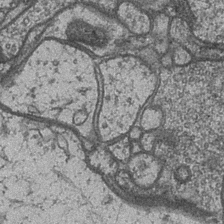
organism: Drosophila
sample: Optic medulla